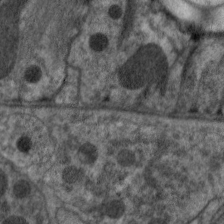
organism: C. elegans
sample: Pharynx